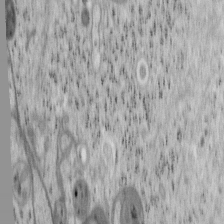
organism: Human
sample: HeLa cells